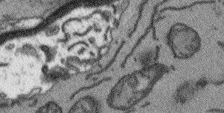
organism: Arabidopsis thaliana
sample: Root tip